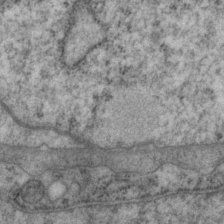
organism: P. pacificus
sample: Pharynx